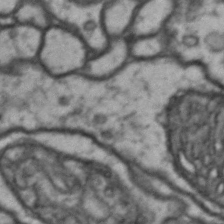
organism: Drosophila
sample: Brain